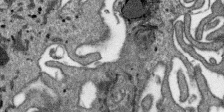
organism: Human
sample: Lung epithelial cells, uninfected (mock) control